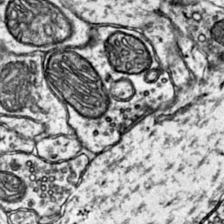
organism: Mouse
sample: Primary visual cortex